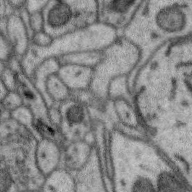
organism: Zebra finch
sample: Brain